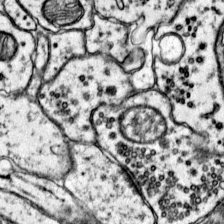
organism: Mouse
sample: Primary visual cortex